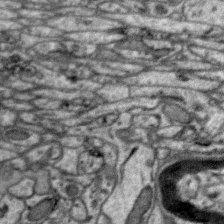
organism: Zebra finch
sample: Brain